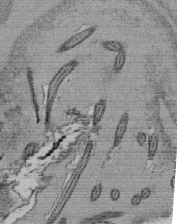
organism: Tetrahymena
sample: Cilia in tetrahymena